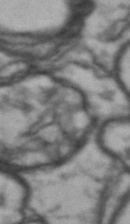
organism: Drosophila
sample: Brain